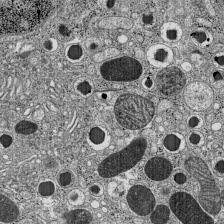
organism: C57BL Mouse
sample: Pancreatic islet